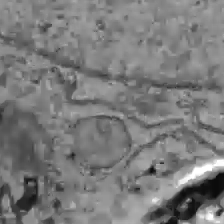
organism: C57BL Mouse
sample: Liver